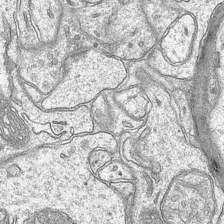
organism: Mouse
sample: CA1 Hippocampus